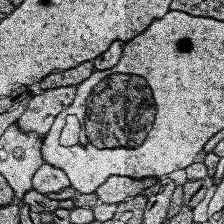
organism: Human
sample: Temporal Lobe